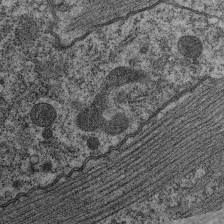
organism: C. elegans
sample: Pharynx